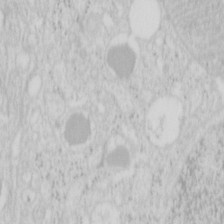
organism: Mouse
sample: Pancreas